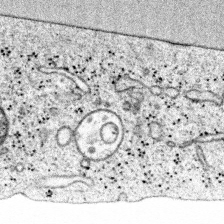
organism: Human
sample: HeLa cells